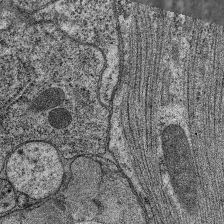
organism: C. elegans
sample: Pharynx